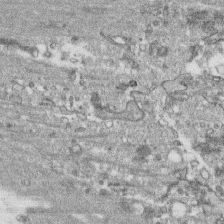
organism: Human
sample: CRL-1474